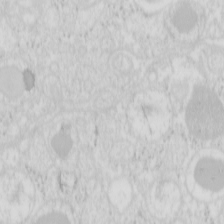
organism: Mouse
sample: Pancreas